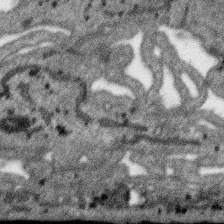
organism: Human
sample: Lung epithelial cells infected with SARS-CoV-2